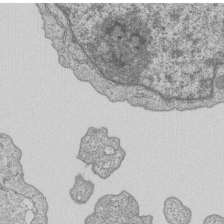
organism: Human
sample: MDA-MB-231 cells